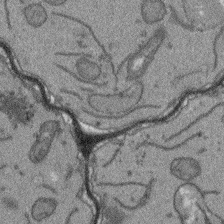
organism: Arabidopsis thaliana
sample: Root tip